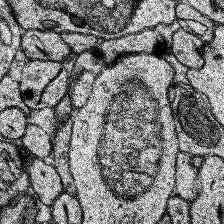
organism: Human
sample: Temporal Lobe